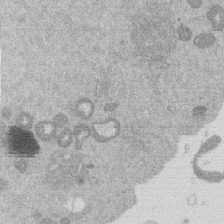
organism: Mouse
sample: Dividing mouse embryo 1 cell stage